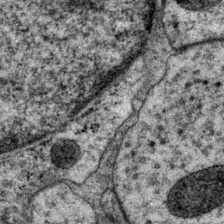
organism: P. pacificus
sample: Pharynx